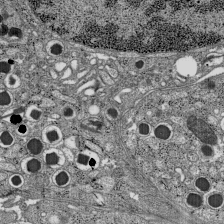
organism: C57BL Mouse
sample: Pancreatic islet